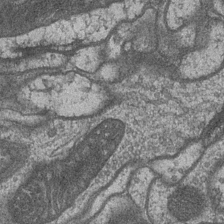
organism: Drosophila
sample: Optic medulla